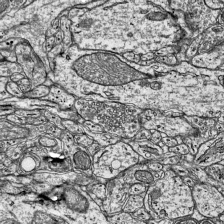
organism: Mouse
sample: Visual Cortex